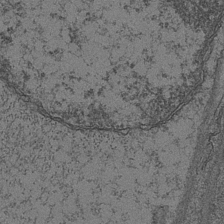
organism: Mouse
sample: CA1 Hippocampus